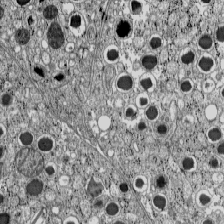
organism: C57BL Mouse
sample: Pancreatic islet